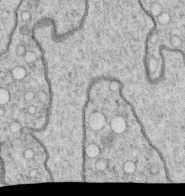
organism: C. elegans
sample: C. elegans oocyte; sperm cells